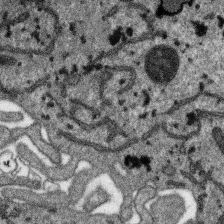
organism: Human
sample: Lung epithelial cells infected with SARS-CoV-2